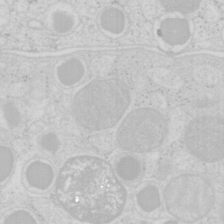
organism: Mouse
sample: Pancreas